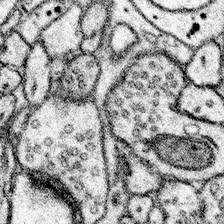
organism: Mouse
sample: Somatosensory cortex neuropil